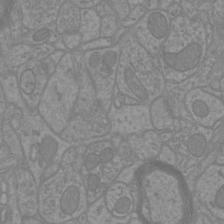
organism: Mouse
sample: Cortical neurons